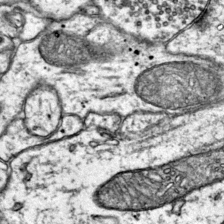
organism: Mouse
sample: Primary visual cortex